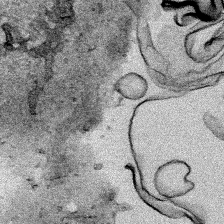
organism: Human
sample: Mitochondria in HCT116 cells